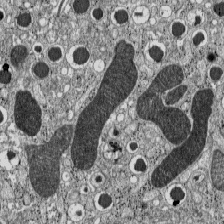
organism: C57BL Mouse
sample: Pancreatic islet